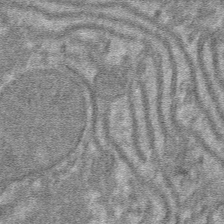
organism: Mouse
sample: Mouse hepatocytes